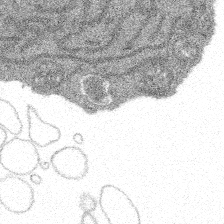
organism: Spongilla lacustris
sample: Multiple